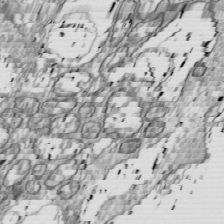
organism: Drosophila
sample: Cell division; meiosis; drosophila spermatocytes